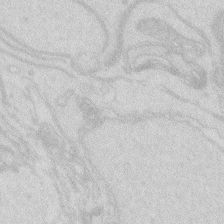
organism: Zebrafish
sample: Macrophage